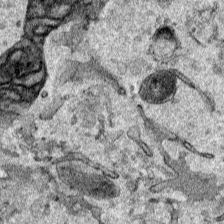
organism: Human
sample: Mitochondria in HCT116 cells